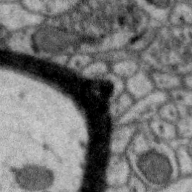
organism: Zebra finch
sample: Brain